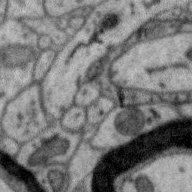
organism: Zebra finch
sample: Brain